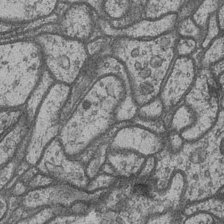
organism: Drosophila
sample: Optic medulla